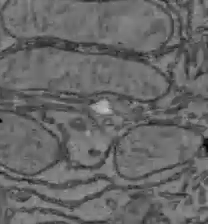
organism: C57BL Mouse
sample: Liver